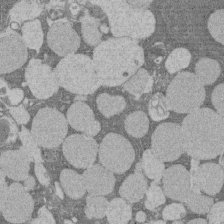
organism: Rat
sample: Salivary granule